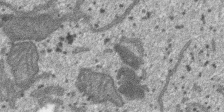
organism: Human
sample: Lung epithelial cells infected with SARS-CoV-2